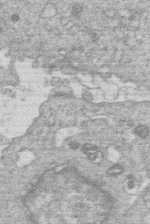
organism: Human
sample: Macrophage cells